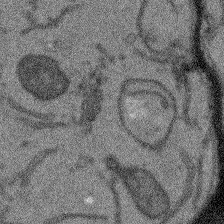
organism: Arabidopsis thaliana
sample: Root tip